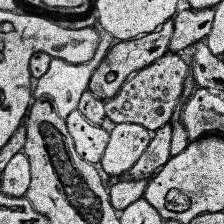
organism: Human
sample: Temporal Lobe